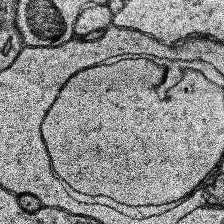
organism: Human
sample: Temporal Lobe